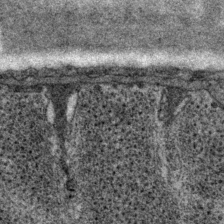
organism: P. pacificus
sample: Pharynx